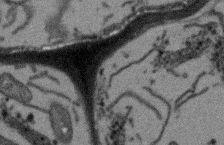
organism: Arabidopsis thaliana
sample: Root tip